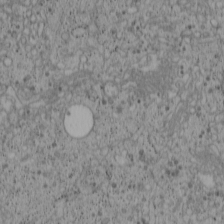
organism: African green monkey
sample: COS-7 cells